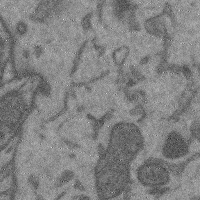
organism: Mouse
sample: Cerebral cortex